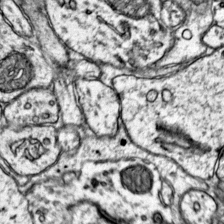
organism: Mouse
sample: Primary visual cortex